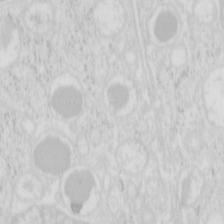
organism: Mouse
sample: Pancreas